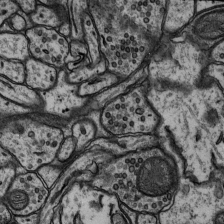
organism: Rat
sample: Hippocampus